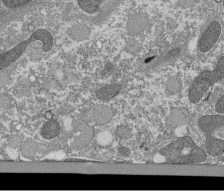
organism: Tetrahymena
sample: Cilia in tetrahymena